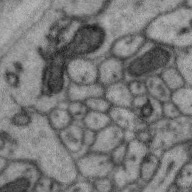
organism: Zebra finch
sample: Brain